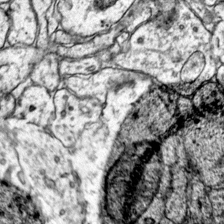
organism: Mouse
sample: Primary visual cortex